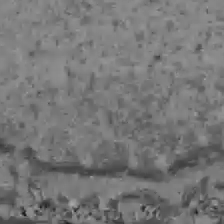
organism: C57BL Mouse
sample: Liver